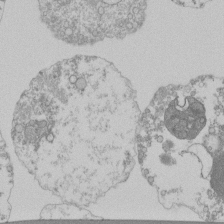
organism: Mouse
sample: Activated Pmel transgenic CD8+ T Cells